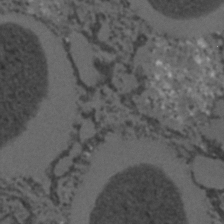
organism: C. elegans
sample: C. elegans embryo